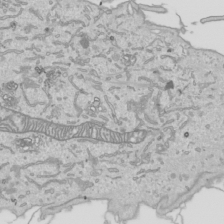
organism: Human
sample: Mitochondria in HCT116 cells